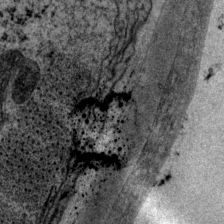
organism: P. pacificus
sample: Pharynx